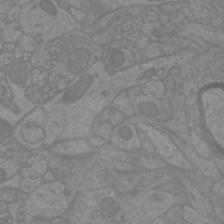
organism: Mouse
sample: Cortical neurons